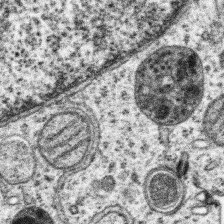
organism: Human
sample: HeLa cells